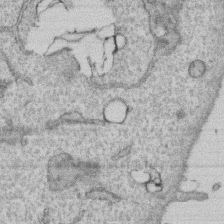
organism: Human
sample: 1205lu cells